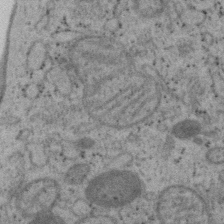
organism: Human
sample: HeLa cells